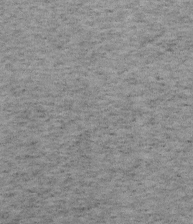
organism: Mouse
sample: OT-I killer T cells with ID8 ovarian cancer cells